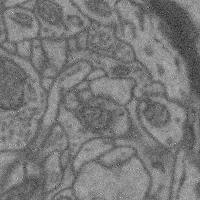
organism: Mouse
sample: Cerebral cortex